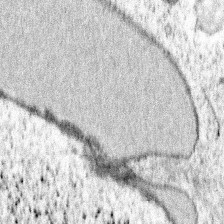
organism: Human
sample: HeLa cells